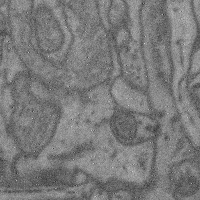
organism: Mouse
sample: Cerebral cortex